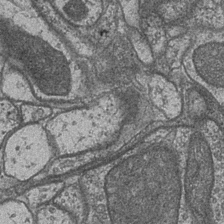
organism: Drosophila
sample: Optic medulla